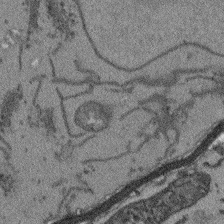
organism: Arabidopsis thaliana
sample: Root tip